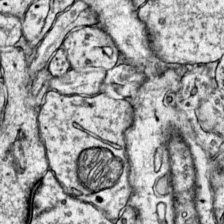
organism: Mouse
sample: Primary visual cortex